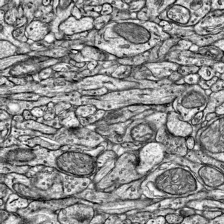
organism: Mouse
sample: Visual Cortex